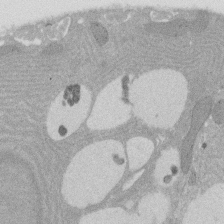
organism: Rat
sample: Salivary granule